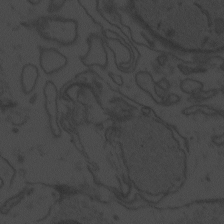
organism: Zebrafish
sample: Macrophage infected with Toxoplasma gondii